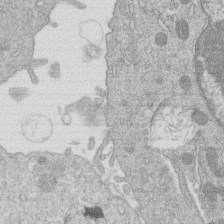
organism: Human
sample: Macrophage cells